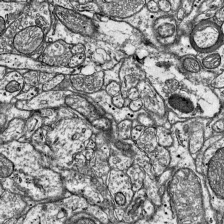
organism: Mouse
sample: Visual Cortex